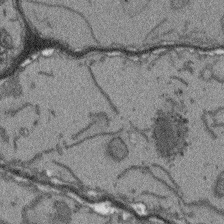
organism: Arabidopsis thaliana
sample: Root tip